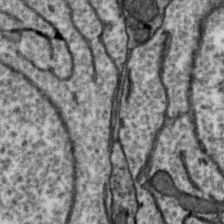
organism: Zebra finch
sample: Brain